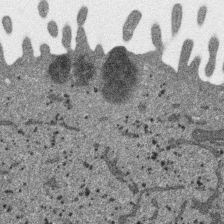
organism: Human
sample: Lung epithelial cells infected with SARS-CoV-2